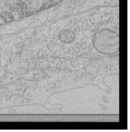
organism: Human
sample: Mitochondria in HCT116 cells